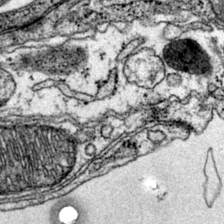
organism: Mouse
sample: Primary visual cortex